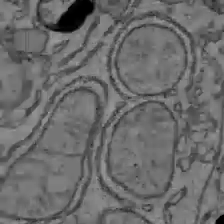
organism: C57BL Mouse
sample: Liver